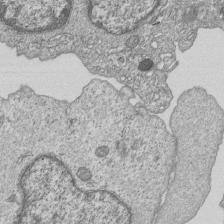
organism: Human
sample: MDA-MB-231 cells